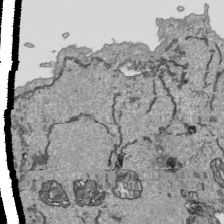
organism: Human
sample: Mitochondria in HCT116 cells